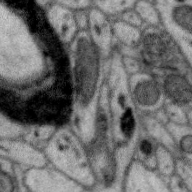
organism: Zebra finch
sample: Brain